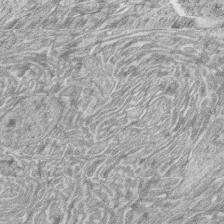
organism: Zebrafish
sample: synaptic ribbons in rod cells and cone cells